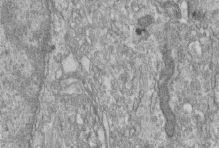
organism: Human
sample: Centriole in fibroblast cells